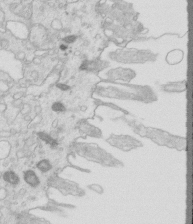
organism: Mouse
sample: Multiciliated cells